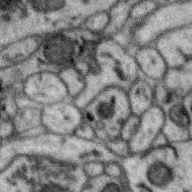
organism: Zebra finch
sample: Brain